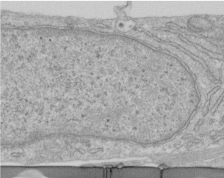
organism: Human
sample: Centriole in RPE cells